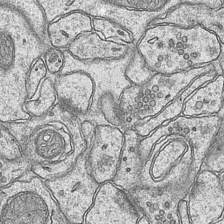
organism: Mouse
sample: CA1 Hippocampus